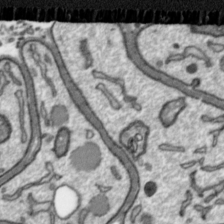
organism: Toxoplasma gondii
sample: Parasites in a vacuole inside a host cell